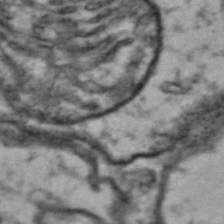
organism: Drosophila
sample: Brain